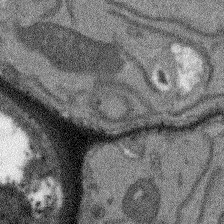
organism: Arabidopsis thaliana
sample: Root tip